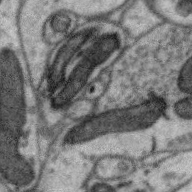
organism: Zebra finch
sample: Brain